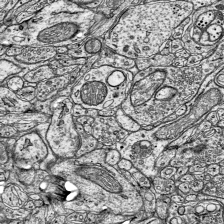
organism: Mouse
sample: Visual Cortex